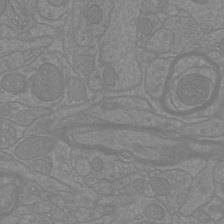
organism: Mouse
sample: Cortical neurons